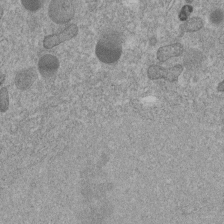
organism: C. elegans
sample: C. elegans embryo early stage